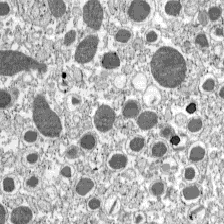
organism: C57BL Mouse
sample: Pancreatic islet